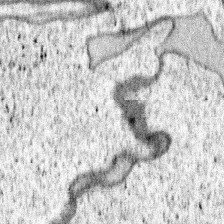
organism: Human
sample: HeLa cells